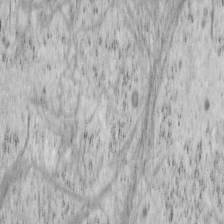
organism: Human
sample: HeLa cells